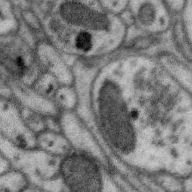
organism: Zebra finch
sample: Brain